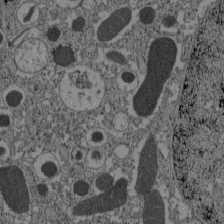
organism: C57BL Mouse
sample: Pancreatic islet